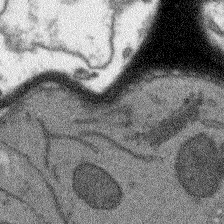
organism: Arabidopsis thaliana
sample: Root tip